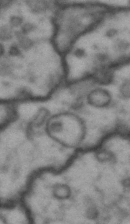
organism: Drosophila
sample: Brain